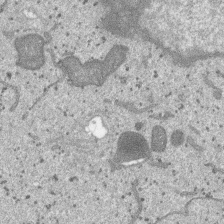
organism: Human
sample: Lung epithelial cells infected with SARS-CoV-2